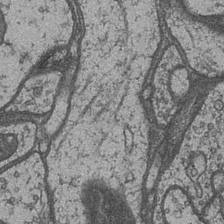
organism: Drosophila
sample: Optic medulla